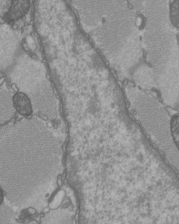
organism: C57BL Mouse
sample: Heart